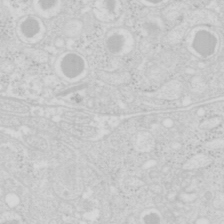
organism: Mouse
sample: Pancreas